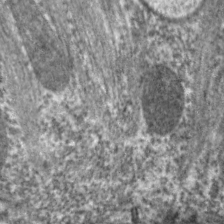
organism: C. elegans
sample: Pharynx